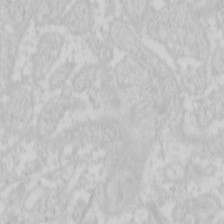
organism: Mouse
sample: Pancreas